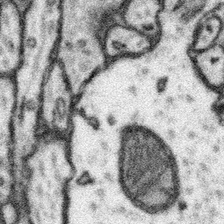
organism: Mouse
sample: Somatosensory cortex neuropil